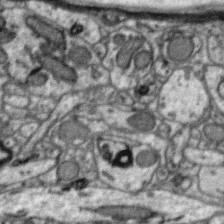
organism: Zebra finch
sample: Brain